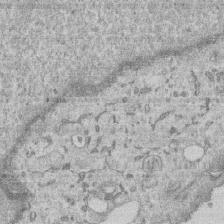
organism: Human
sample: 1205lu cells